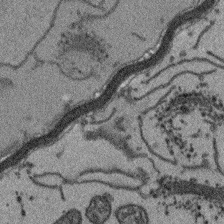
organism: Arabidopsis thaliana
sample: Root tip